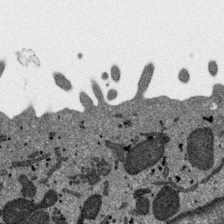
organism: Human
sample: Lung epithelial cells, uninfected (mock) control